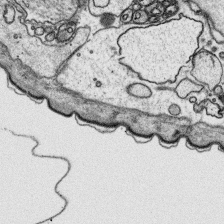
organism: Platynereis dumerilii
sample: Parapodia